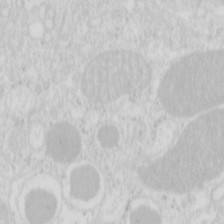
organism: Mouse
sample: Pancreas